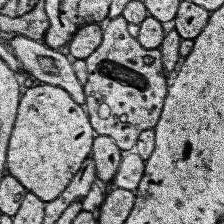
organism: Human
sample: Temporal Lobe